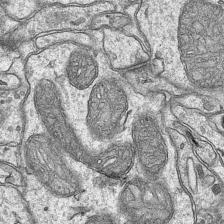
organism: Mouse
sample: CA1 Hippocampus